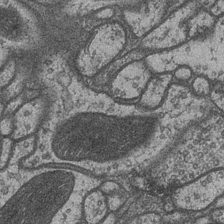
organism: Drosophila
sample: Optic medulla